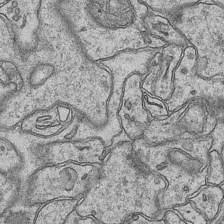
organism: Mouse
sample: CA1 Hippocampus